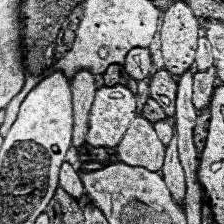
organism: Human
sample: Temporal Lobe